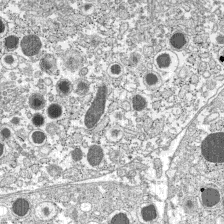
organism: C57BL Mouse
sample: Pancreatic islet